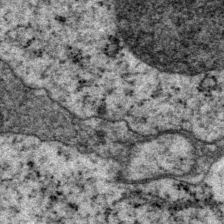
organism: P. pacificus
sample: Pharynx